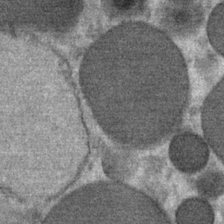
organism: Mouse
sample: Mouse Salivary gland